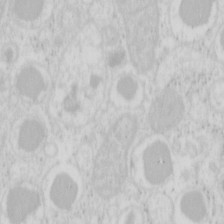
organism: Mouse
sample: Pancreas